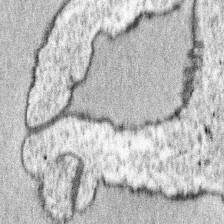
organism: Human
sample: HeLa cells